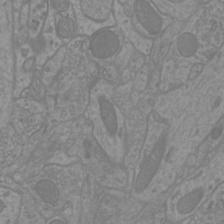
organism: Mouse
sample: Cortical neurons